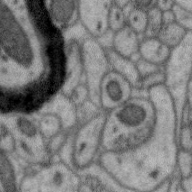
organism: Zebra finch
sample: Brain